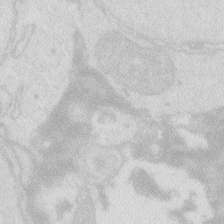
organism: Zebrafish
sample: Macrophage